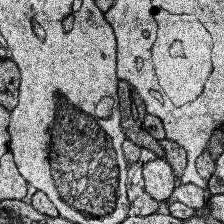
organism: Human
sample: Temporal Lobe